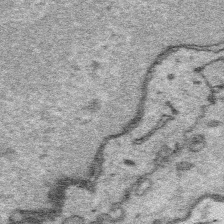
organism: Platynereis dumerilii